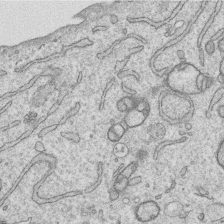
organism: Human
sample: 1205lu cells